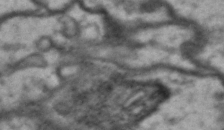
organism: Drosophila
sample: Brain